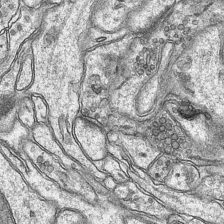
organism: Mouse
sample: CA1 Hippocampus